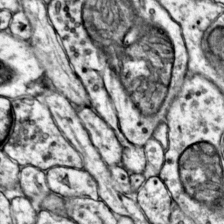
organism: Mouse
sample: Primary visual cortex